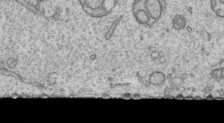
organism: Human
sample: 1205lu cells